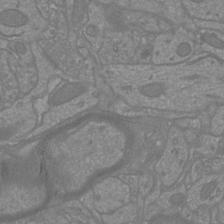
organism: Mouse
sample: Cortical neurons